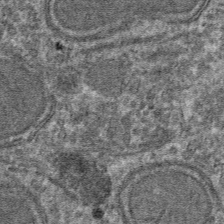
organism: Mouse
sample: Mouse hepatocytes